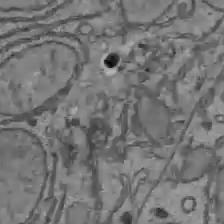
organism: C57BL Mouse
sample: Liver